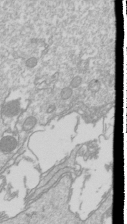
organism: Drosophila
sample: Cell division; meiosis; drosophila spermatocytes